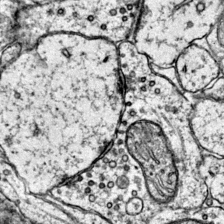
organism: Mouse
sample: Primary visual cortex